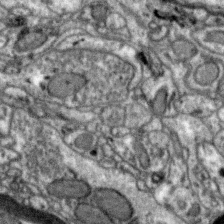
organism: Zebra finch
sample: Brain